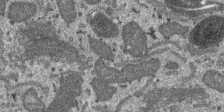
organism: Human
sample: Lung epithelial cells infected with SARS-CoV-2